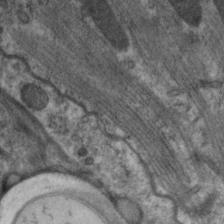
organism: C. elegans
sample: Pharynx